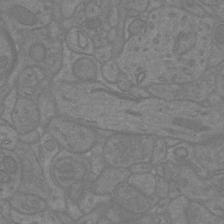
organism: Mouse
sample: Cortical neurons